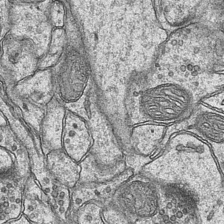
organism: Mouse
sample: CA1 Hippocampus